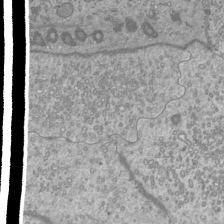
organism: Mouse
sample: Cilia; mouse epididymis